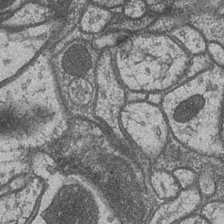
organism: Drosophila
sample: Optic medulla